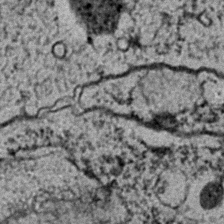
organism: C. elegans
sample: C. elegans embryo